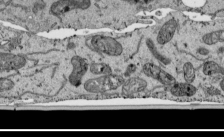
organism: Human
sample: Mitochondria in HCT116 cells